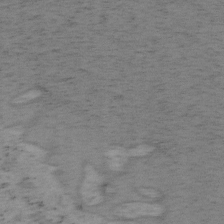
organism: Mouse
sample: OT-I killer T cells with ID8 ovarian cancer cells